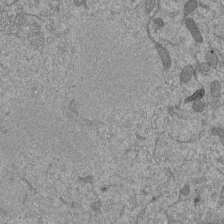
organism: Mouse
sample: ED-1 cell nuclei; centrioles